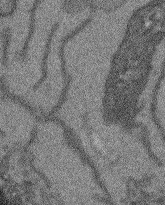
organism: Arabidopsis thaliana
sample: Root tip